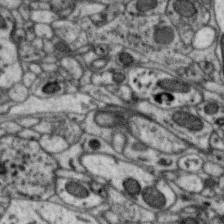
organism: Zebra finch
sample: Brain